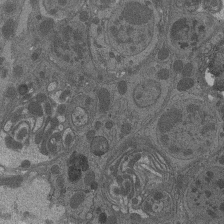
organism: Drosophila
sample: Antenna